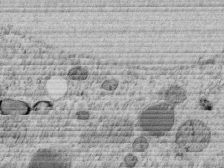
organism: C. elegans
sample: C. elegans embryo early stage